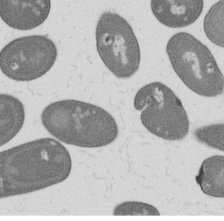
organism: B. subtilis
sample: Bacterial spore